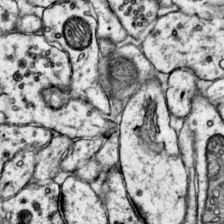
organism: Mouse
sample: Primary visual cortex